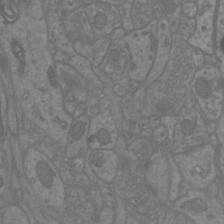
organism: Mouse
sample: Cortical neurons